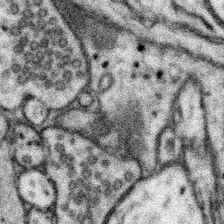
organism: Mouse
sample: Somatosensory cortex neuropil